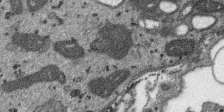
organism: Human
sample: Lung epithelial cells infected with SARS-CoV-2